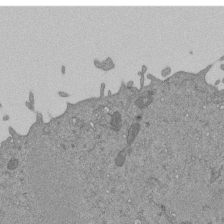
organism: Mouse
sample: ED-1 cell nuclei; centrioles